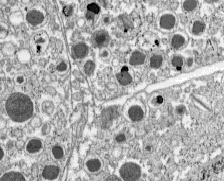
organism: C57BL Mouse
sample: Pancreatic islet